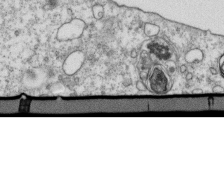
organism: Mouse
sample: Activated OT-1 CD8+ T cells